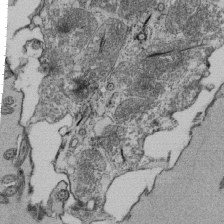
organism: Tetrahymena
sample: Cilia in tetrahymena